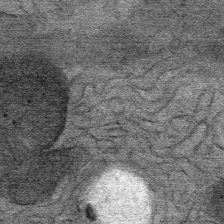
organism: Mouse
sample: Mouse Salivary gland